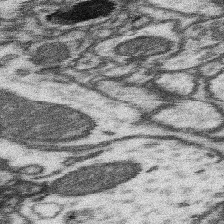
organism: Mouse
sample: Somatosensory cortex neuropil